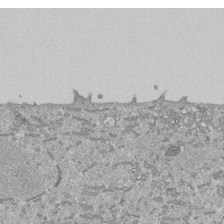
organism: Mouse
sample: ED-1 cell nuclei; centrioles